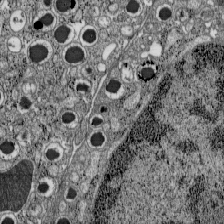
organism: C57BL Mouse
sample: Pancreatic islet